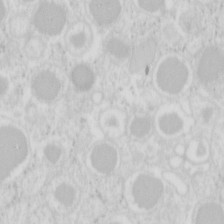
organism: Mouse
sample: Pancreas